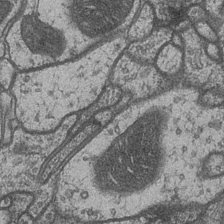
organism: Drosophila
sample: Optic medulla